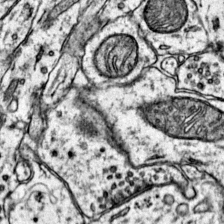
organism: Mouse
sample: Primary visual cortex